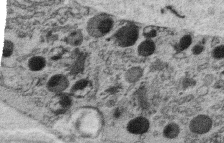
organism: C. elegans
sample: C. elegans oocyte; sperm cells